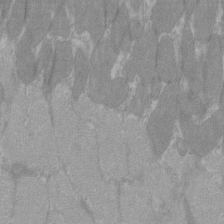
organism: C57BL Mouse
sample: Tibialis anterior muscle cell